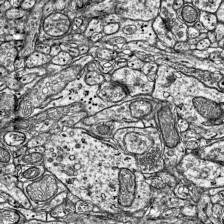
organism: Mouse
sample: Visual Cortex